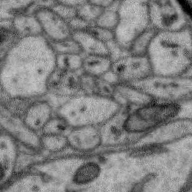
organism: Zebra finch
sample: Brain